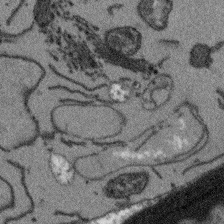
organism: Arabidopsis thaliana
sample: Root tip